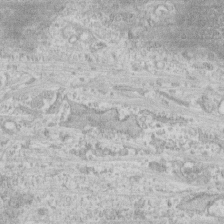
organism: Human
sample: CRL-1474